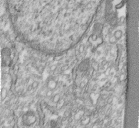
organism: Human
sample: Centriole in fibroblast cells